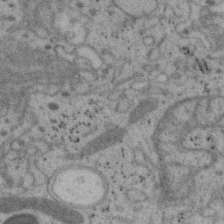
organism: Human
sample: HeLa cells